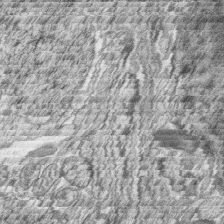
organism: Zebrafish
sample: synaptic ribbons in rod cells and cone cells